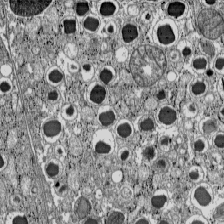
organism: C57BL Mouse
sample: Pancreatic islet